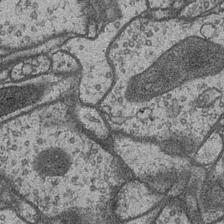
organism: Drosophila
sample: Optic medulla